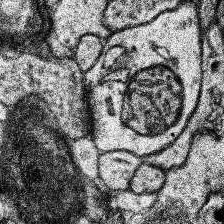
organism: Human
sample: Temporal Lobe